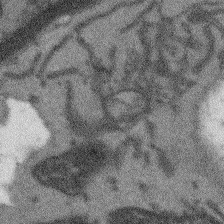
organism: Arabidopsis thaliana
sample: Root tip